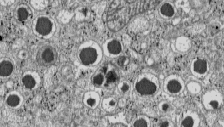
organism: C57BL Mouse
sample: Pancreatic islet